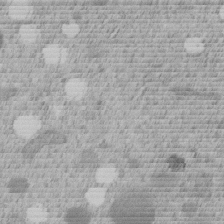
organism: C. elegans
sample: C. elegans embryo early stage